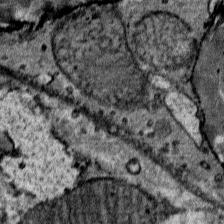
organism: Mouse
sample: Mouse Salivary gland